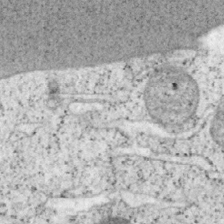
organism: Mouse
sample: OT-I killer T cells with ID8 ovarian cancer cells